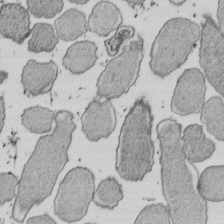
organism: E. coli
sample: Bacterial nucleoid